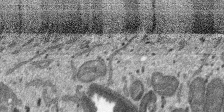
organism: Human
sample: Lung epithelial cells infected with SARS-CoV-2